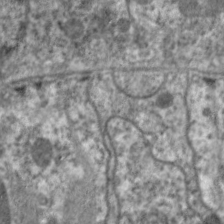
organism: C. elegans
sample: Pharynx